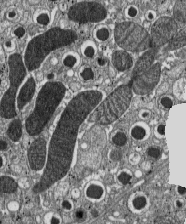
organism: C57BL Mouse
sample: Pancreatic islet